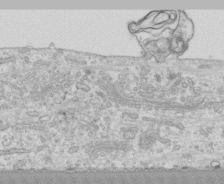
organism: Human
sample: CRL-1474